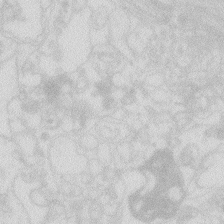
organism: Zebrafish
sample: Macrophage